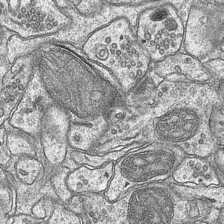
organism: Mouse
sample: CA1 Hippocampus